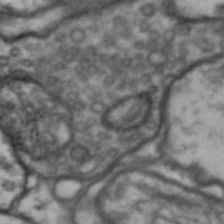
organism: Drosophila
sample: Brain